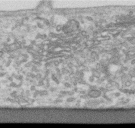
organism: Human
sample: Centriole in RPE cells